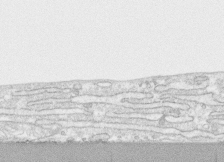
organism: Human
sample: CRL-1474